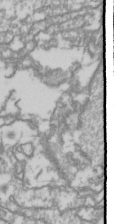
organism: Drosophila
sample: Cell division; meiosis; drosophila spermatocytes